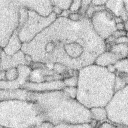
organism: Rabbit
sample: Retina